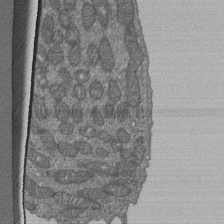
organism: Human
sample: Retinal organoid Rod and Cone cells